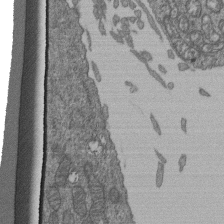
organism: Human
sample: Retinal organoid Rod and Cone cells